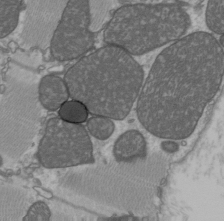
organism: C57BL Mouse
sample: Heart